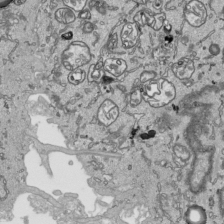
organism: Human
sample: Mitochondria in HCT116 cells